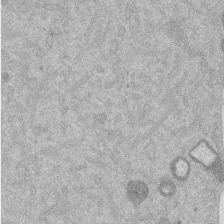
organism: Mouse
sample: Dividing mouse embryo 1 cell stage